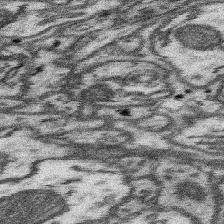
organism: Mouse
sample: Somatosensory cortex neuropil